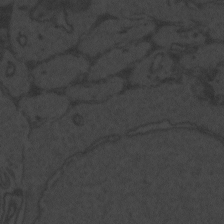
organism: Zebrafish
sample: Macrophage infected with Toxoplasma gondii